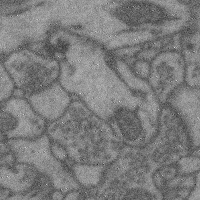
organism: Mouse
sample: Cerebral cortex